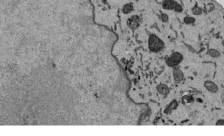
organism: Mouse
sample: ED-1 cell nuclei; centrioles